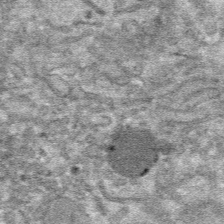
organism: Mouse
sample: Mouse hepatocytes